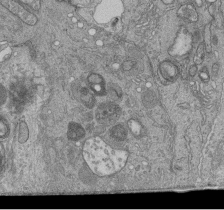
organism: Human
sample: Retinal organoid Rod and Cone cells